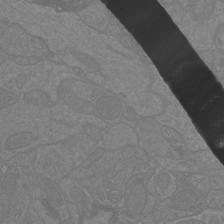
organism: Mouse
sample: Cortical neurons